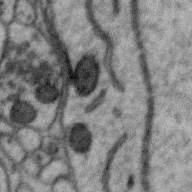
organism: Zebra finch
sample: Brain